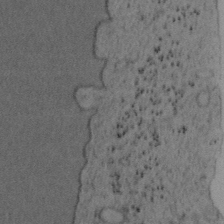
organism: Human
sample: HeLa cells